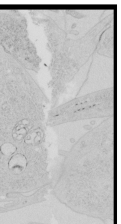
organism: Human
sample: Mitochondria in HCT116 cells